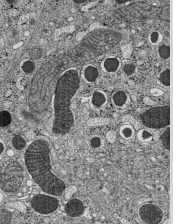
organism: C57BL Mouse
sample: Pancreatic islet